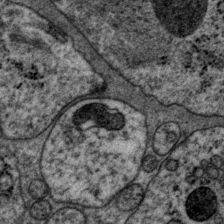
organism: P. pacificus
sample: Pharynx